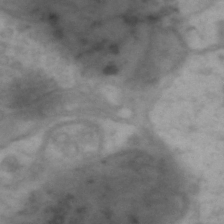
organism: Drosophila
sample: Brain